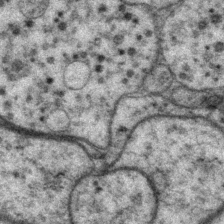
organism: P. pacificus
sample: Pharynx